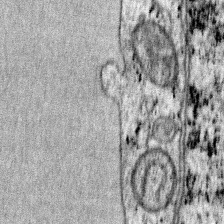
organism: Human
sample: HeLa cells